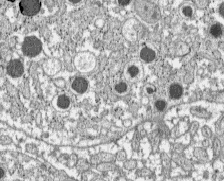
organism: C57BL Mouse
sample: Pancreatic islet